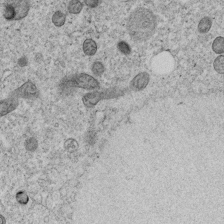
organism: C. elegans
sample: C. elegans embryo early stage